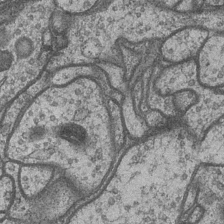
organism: Drosophila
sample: Optic medulla